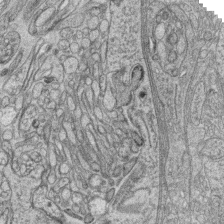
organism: Zebrafish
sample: synaptic ribbons in rod cells and cone cells